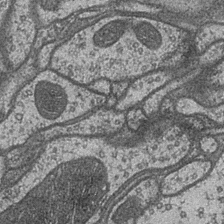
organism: Drosophila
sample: Optic medulla